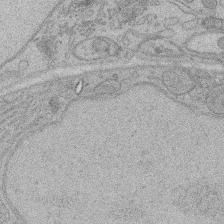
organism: Rat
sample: Salivary granule